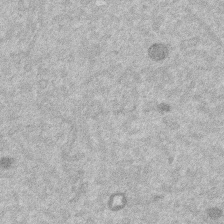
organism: Mouse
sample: Dividing mouse embryo 1 cell stage